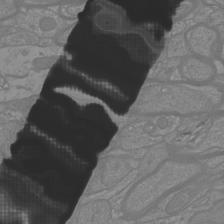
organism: Mouse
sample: Cortical neurons